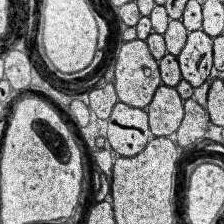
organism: Human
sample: Temporal Lobe